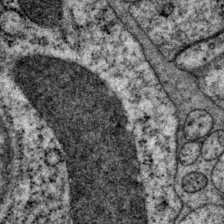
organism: P. pacificus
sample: Pharynx